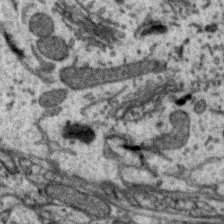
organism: Zebra finch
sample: Brain